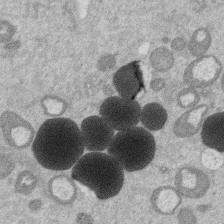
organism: Mouse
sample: Dividing mouse embryo 1 cell stage